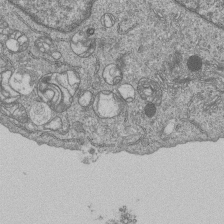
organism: Human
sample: MDA-MB-231 cells